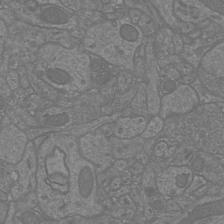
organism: Mouse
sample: Cortical neurons